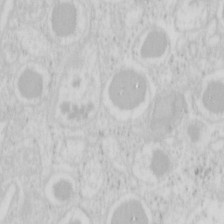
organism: Mouse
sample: Pancreas